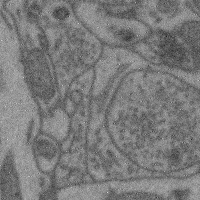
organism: Mouse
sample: Cerebral cortex